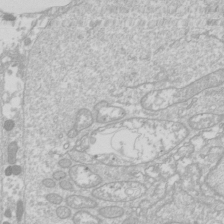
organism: Drosophila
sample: Cell division; meiosis; drosophila spermatocytes